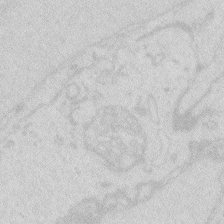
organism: Zebrafish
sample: Macrophage